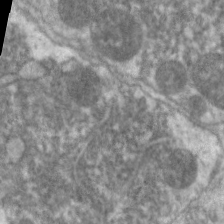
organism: C. elegans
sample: Pharynx